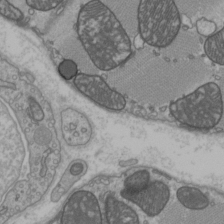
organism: C57BL Mouse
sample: Heart